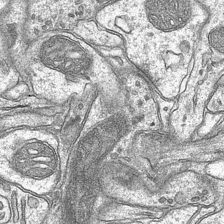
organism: Mouse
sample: CA1 Hippocampus